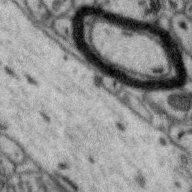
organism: Zebra finch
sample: Brain